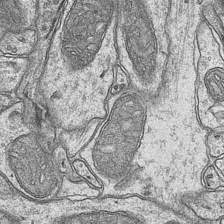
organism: Mouse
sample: CA1 Hippocampus